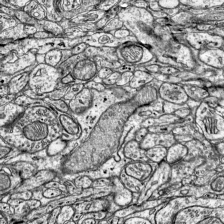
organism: Mouse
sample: Visual Cortex